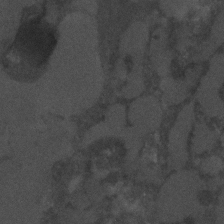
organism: C. elegans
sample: C. elegans embryo